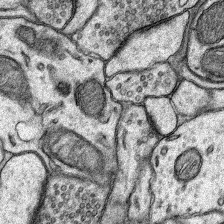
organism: Rat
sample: Hippocampus